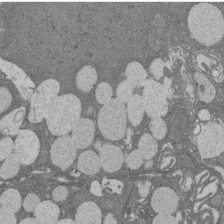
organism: Rat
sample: Salivary granule